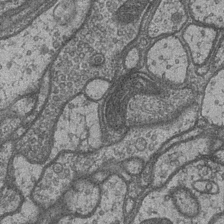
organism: Drosophila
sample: Optic medulla